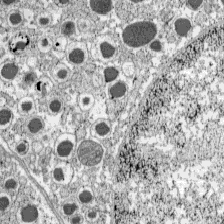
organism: C57BL Mouse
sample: Pancreatic islet